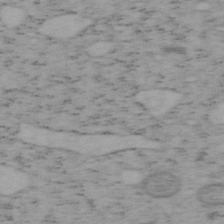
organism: Mouse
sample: OT-I killer T cells with ID8 ovarian cancer cells